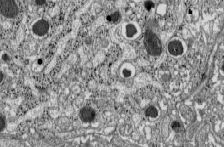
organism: C57BL Mouse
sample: Pancreatic islet